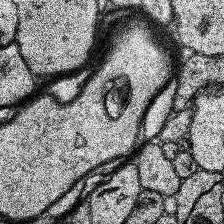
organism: Human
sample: Temporal Lobe